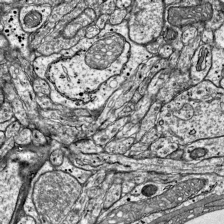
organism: Mouse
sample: Visual Cortex